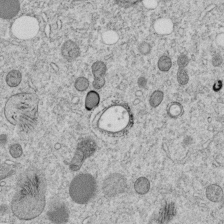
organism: C. elegans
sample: C. elegans embryo early stage